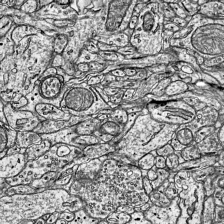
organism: Mouse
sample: Visual Cortex